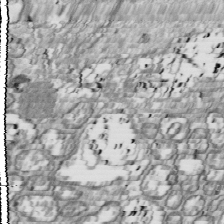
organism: Drosophila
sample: Cell division; meiosis; drosophila spermatocytes